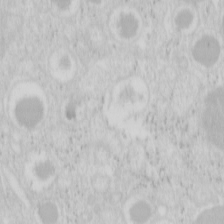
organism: Mouse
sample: Pancreas